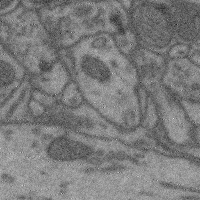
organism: Mouse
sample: Cerebral cortex